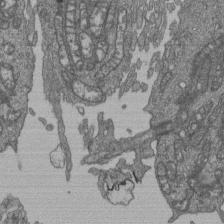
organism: Human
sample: Retinal organoid Rod and Cone cells